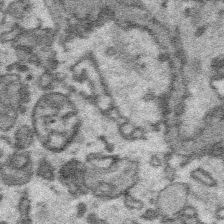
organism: Platynereis dumerilii